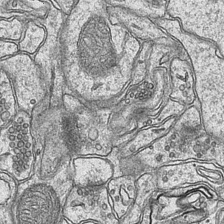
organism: Mouse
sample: CA1 Hippocampus